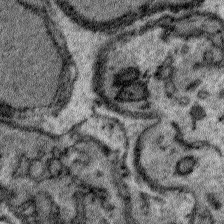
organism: Plasmodium falciparum